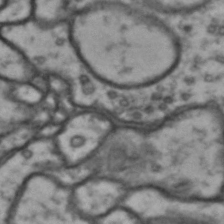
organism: Drosophila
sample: Brain